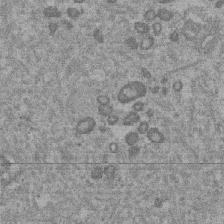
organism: Mouse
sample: Dividing mouse embryo 1 cell stage